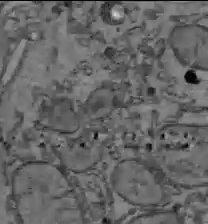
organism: C57BL Mouse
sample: Liver